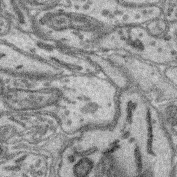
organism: Mouse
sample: Retina